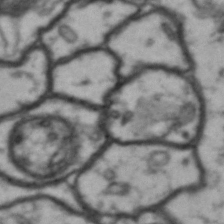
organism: Drosophila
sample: Brain